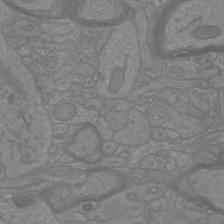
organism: Mouse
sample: Cortical neurons